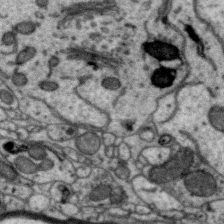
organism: Zebra finch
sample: Brain